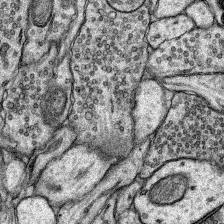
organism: Rat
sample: Hippocampus